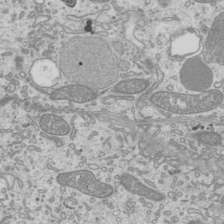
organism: Mouse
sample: Cilia; mouse epididymis